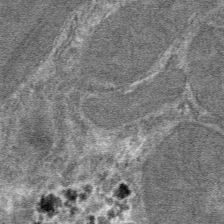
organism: Mouse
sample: Mouse hepatocytes